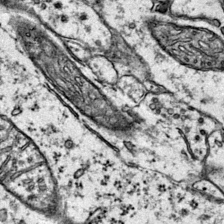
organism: Mouse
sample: Primary visual cortex